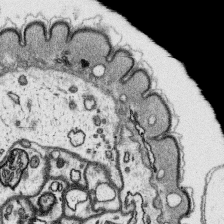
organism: Platynereis dumerilii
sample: Parapodia